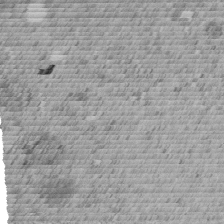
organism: C. elegans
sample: C. elegans embryo early stage